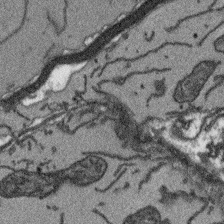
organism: Arabidopsis thaliana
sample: Root tip